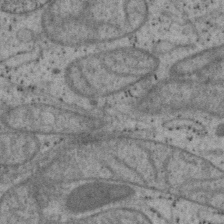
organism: Human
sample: HeLa cells